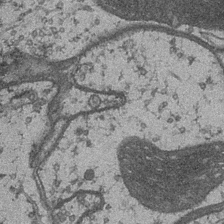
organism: Drosophila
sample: Optic medulla